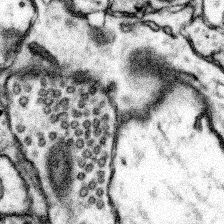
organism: Mouse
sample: Somatosensory cortex neuropil